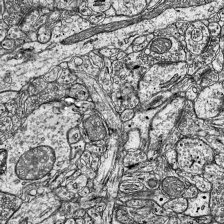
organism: Mouse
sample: Visual Cortex